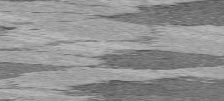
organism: C57BL Mouse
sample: Heart